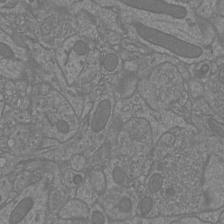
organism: Mouse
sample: Cortical neurons